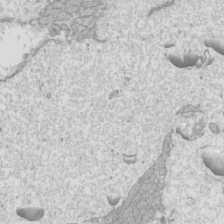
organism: Mouse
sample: Cilia; mouse epididymis